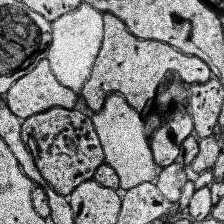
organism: Human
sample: Temporal Lobe